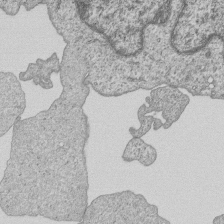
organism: Human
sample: MDA-MB-231 cells